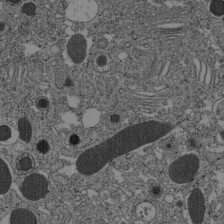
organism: C57BL Mouse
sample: Pancreatic islet